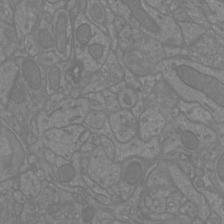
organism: Mouse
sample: Cortical neurons